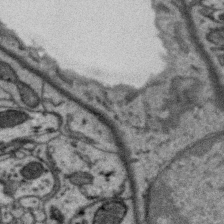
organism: Zebra finch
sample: Brain